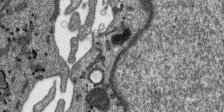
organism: Human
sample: Lung epithelial cells infected with SARS-CoV-2